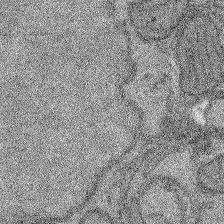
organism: Human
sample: HeLa cells